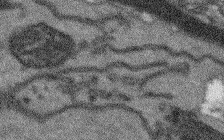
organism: Arabidopsis thaliana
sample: Root tip